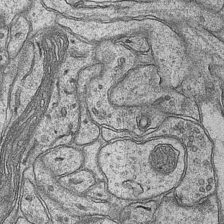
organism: Mouse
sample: CA1 Hippocampus